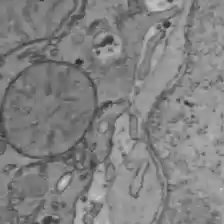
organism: C57BL Mouse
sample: Liver